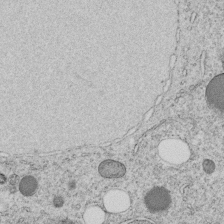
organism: C. elegans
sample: C. elegans embryo early stage